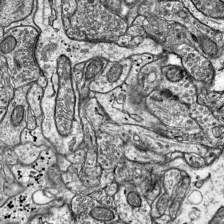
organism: Mouse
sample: Visual Cortex